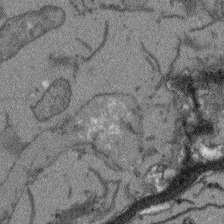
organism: Arabidopsis thaliana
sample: Root tip